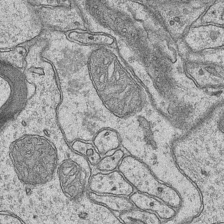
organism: Mouse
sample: CA1 Hippocampus